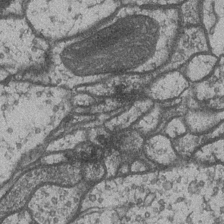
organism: Drosophila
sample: Optic medulla